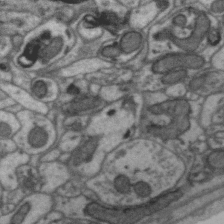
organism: Zebra finch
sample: Brain